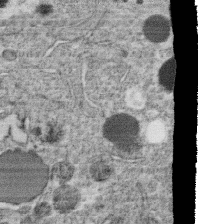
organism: C. elegans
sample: C. elegans oocyte; sperm cells